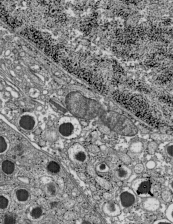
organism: C57BL Mouse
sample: Pancreatic islet